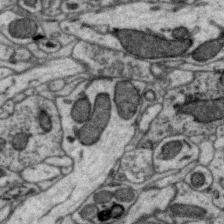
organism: Zebra finch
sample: Brain